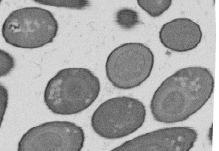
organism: B. subtilis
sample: Bacterial spore